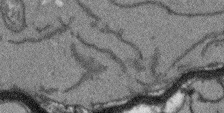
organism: Arabidopsis thaliana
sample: Root tip